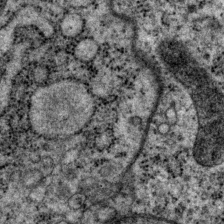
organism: P. pacificus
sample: Pharynx